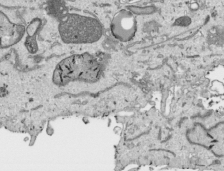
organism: Human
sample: Mitochondria in HCT116 cells